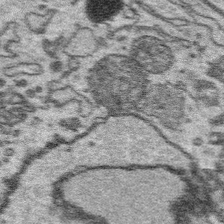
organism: Platynereis dumerilii